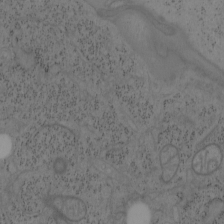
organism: Mouse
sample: OT-I killer T cells with ID8 ovarian cancer cells